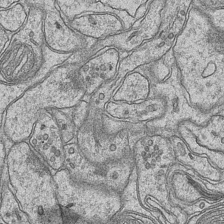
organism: Mouse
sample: CA1 Hippocampus